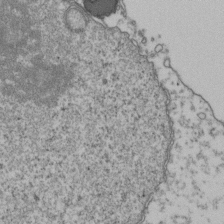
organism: Human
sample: Activated Jurkat CD4+ T cells